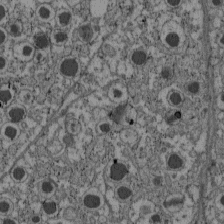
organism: C57BL Mouse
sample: Pancreatic islet